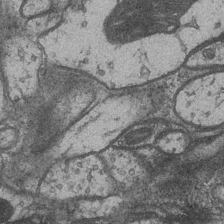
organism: Drosophila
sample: Optic medulla